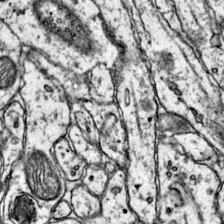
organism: Mouse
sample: Primary visual cortex